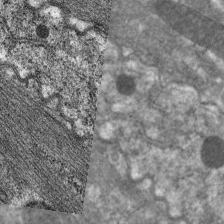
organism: C. elegans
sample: Pharynx